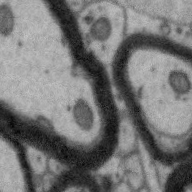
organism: Zebra finch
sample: Brain